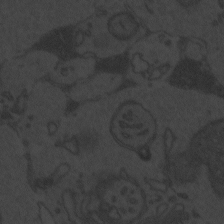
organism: Zebrafish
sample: Macrophage infected with Toxoplasma gondii